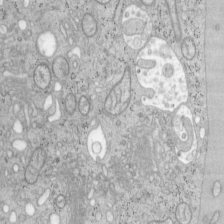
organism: Mouse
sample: OT-I killer T cells with ID8 ovarian cancer cells